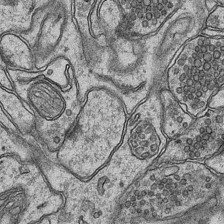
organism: Mouse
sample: CA1 Hippocampus